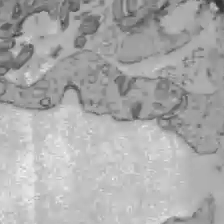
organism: C57BL Mouse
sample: Liver